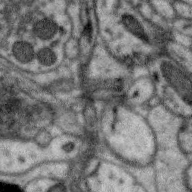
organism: Zebra finch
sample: Brain